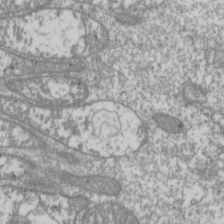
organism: Drosophila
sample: Cell division; meiosis; drosophila spermatocytes